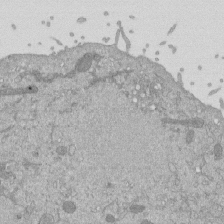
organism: Mouse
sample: ED-1 cell nuclei; centrioles